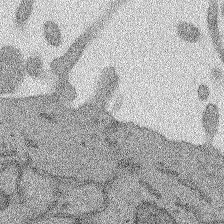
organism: Human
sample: HeLa cells